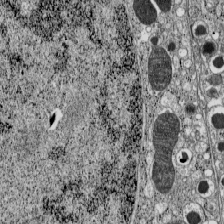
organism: C57BL Mouse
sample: Pancreatic islet